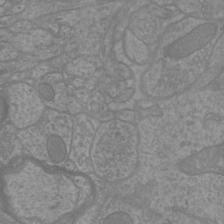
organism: Mouse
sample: Cortical neurons